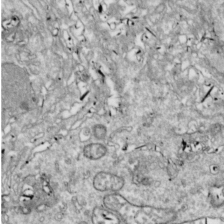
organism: Drosophila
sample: Cell division; meiosis; drosophila spermatocytes